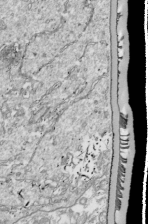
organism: Drosophila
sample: Cell division; meiosis; drosophila spermatocytes